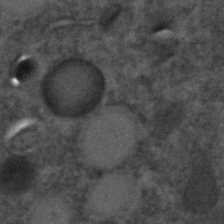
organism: C. elegans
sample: C. elegans embryo